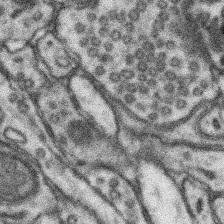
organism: Mouse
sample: Somatosensory cortex neuropil